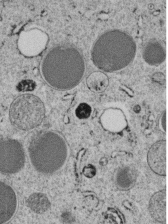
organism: C. elegans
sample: C. elegans embryo early stage